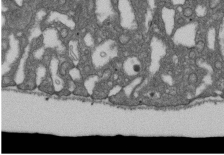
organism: Drosophila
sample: Nephrocyte